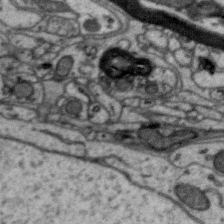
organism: Zebra finch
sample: Brain